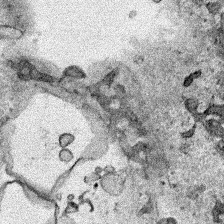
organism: Human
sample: Mitochondria in HCT116 cells